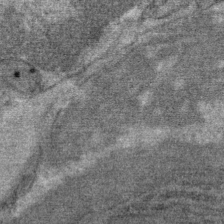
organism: Mouse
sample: Mouse Salivary gland